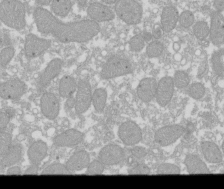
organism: Xenopus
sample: Cilia; centrioles in frog embryo cells